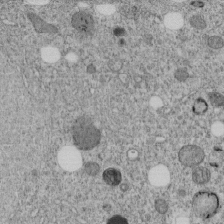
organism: C. elegans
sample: C. elegans embryo early stage